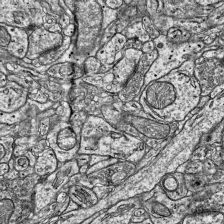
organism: Mouse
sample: Visual Cortex